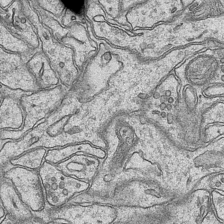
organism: Mouse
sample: CA1 Hippocampus